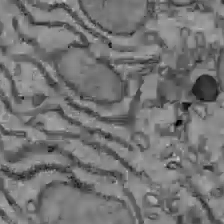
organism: C57BL Mouse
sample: Liver